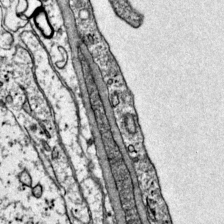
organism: Mouse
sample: Primary visual cortex